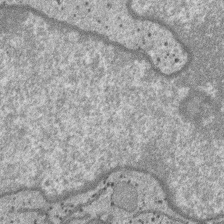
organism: Human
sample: Lung epithelial cells infected with SARS-CoV-2